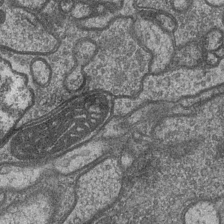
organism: Drosophila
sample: Optic medulla